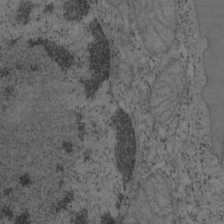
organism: Mouse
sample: OT-I killer T cells with ID8 ovarian cancer cells